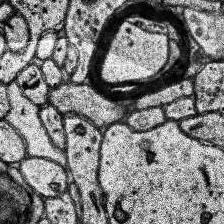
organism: Human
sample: Temporal Lobe